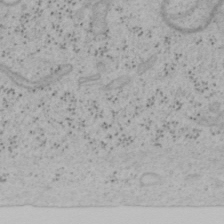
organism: Human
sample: HeLa cells